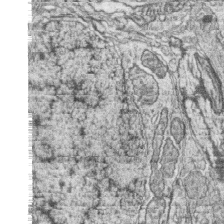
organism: Zebrafish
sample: synaptic ribbons in rod cells and cone cells